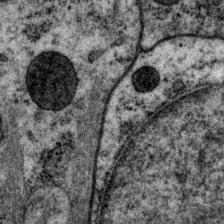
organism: P. pacificus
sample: Pharynx